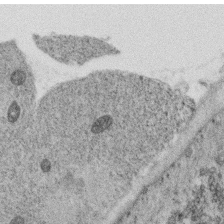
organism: C. elegans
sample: C. elegans oocyte; sperm cells